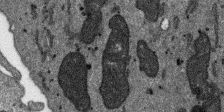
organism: Human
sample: Lung epithelial cells infected with SARS-CoV-2